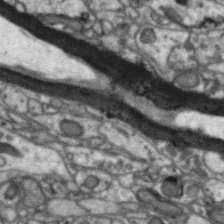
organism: Zebra finch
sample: Brain